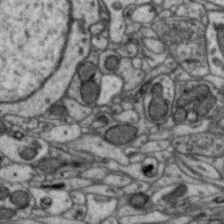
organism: Zebra finch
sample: Brain